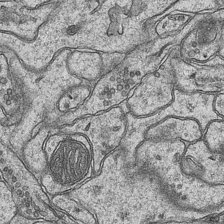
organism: Mouse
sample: CA1 Hippocampus